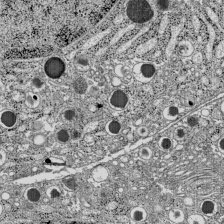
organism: C57BL Mouse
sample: Pancreatic islet